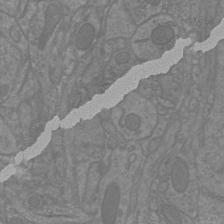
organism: Mouse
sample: Cortical neurons